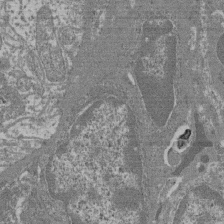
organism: Mouse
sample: Glomerulus